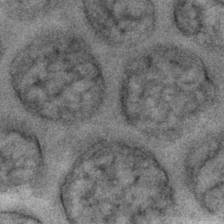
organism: C. elegans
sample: C. elegans embryo